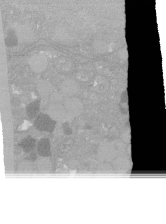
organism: C. elegans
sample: C. elegans oocyte; sperm cells